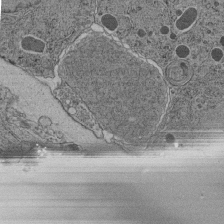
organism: C. elegans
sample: C. elegans pharynx